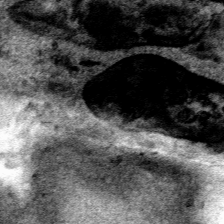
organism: Human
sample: Mitochondria in HCT116 cells